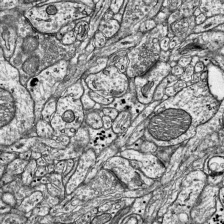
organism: Mouse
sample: Visual Cortex